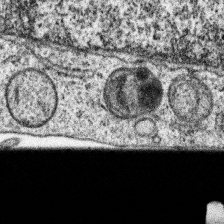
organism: Human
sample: HeLa cells